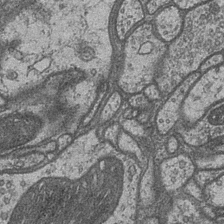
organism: Drosophila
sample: Optic medulla